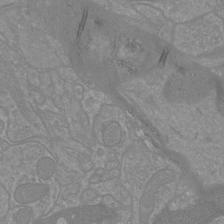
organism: Mouse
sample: Cortical neurons